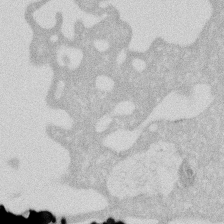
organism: Human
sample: HIV infected U937 cells